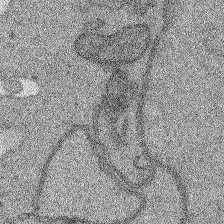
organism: Human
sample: HeLa cells